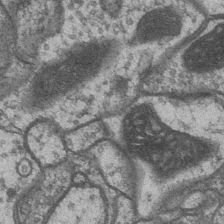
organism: Drosophila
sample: Optic medulla